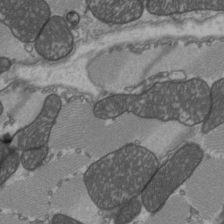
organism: C57BL Mouse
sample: Heart